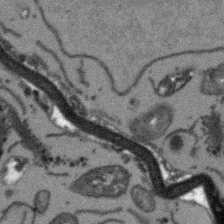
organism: Arabidopsis thaliana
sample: Root tip